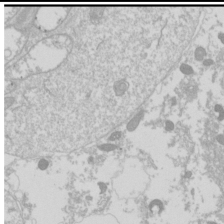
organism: Drosophila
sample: Cell division; meiosis; drosophila spermatocytes